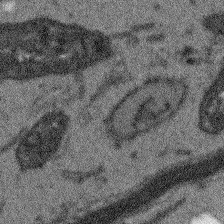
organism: Arabidopsis thaliana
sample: Root tip